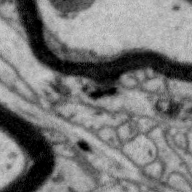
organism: Zebra finch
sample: Brain